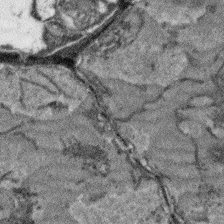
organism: Arabidopsis thaliana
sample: Root tip